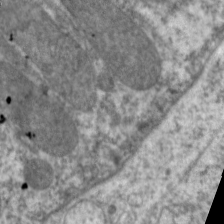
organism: C. elegans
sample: Pharynx